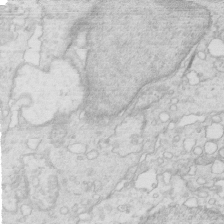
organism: Mouse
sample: Multiciliated cells